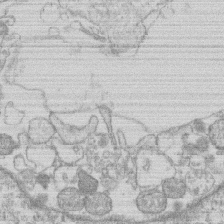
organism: Human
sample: Macrophage cells